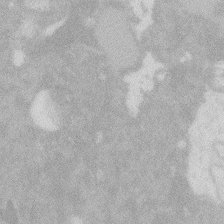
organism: Zebrafish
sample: Macrophage